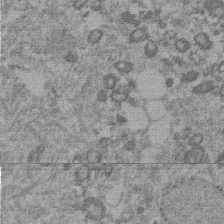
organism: Mouse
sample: Dividing mouse embryo 1 cell stage